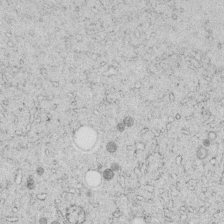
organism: C. elegans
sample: C. elegans embryo early stage